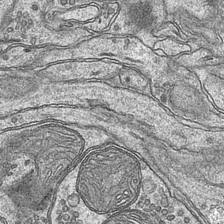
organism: Mouse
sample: CA1 Hippocampus